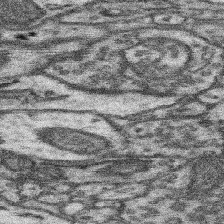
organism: Mouse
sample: Somatosensory cortex neuropil